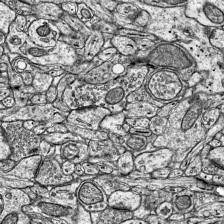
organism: Mouse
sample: Visual Cortex